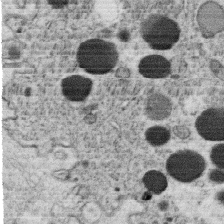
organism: C. elegans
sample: C. elegans oocyte; sperm cells